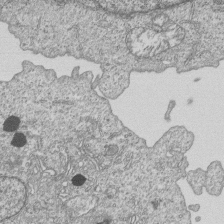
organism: Human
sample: MDA-MB-231 cells